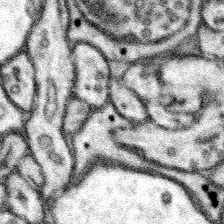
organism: Mouse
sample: Somatosensory cortex neuropil